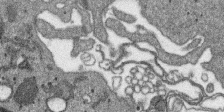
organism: Human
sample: Lung epithelial cells infected with SARS-CoV-2